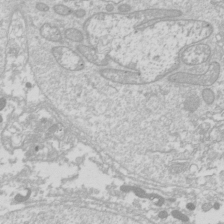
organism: Drosophila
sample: Cell division; meiosis; drosophila spermatocytes